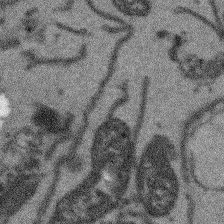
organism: Arabidopsis thaliana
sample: Root tip